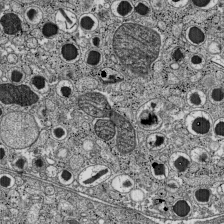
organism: C57BL Mouse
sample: Pancreatic islet